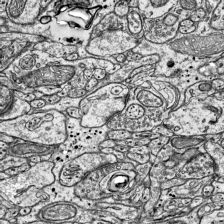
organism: Mouse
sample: Visual Cortex